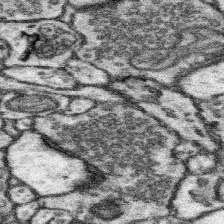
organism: Mouse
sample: Somatosensory cortex neuropil